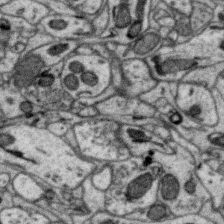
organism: Zebra finch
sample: Brain